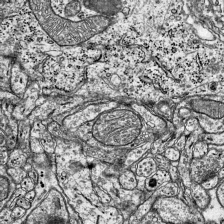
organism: Mouse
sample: Visual Cortex